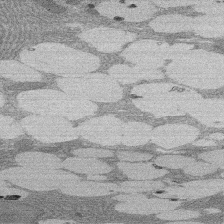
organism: Rat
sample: Salivary granule